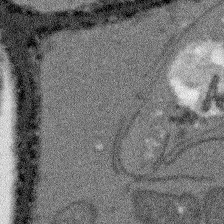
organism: Arabidopsis thaliana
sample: Root tip